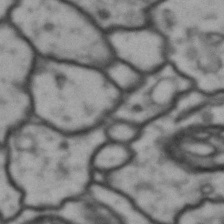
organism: Drosophila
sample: Brain